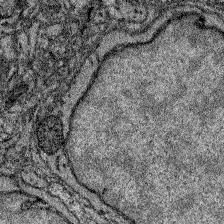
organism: Zebrafish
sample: Larval olfactory bulb